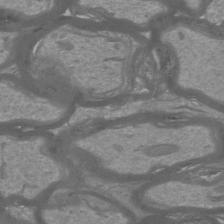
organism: Mouse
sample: Cortical neurons